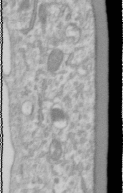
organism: Human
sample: Cilia; basal body in RPE cells